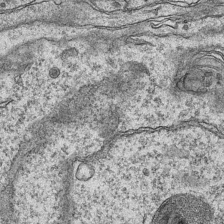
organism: Mouse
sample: CA1 Hippocampus